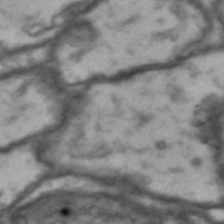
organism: Drosophila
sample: Brain